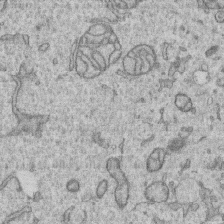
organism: Human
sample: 1205lu cells